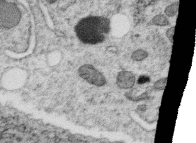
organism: C. elegans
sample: C. elegans oocyte; sperm cells